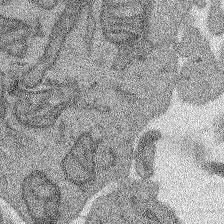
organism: Human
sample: HeLa cells